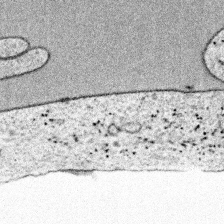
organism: Human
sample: HeLa cells